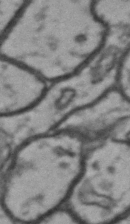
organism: Drosophila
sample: Brain